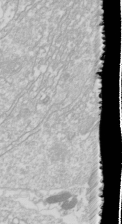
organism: Drosophila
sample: Cell division; meiosis; drosophila spermatocytes